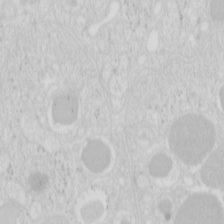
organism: Mouse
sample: Pancreas